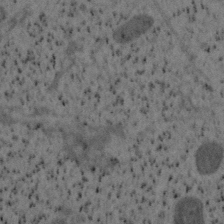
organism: Human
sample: HeLa cells